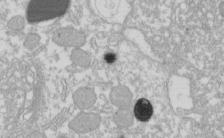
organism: Xenopus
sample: Cilia; centrioles in frog embryo cells